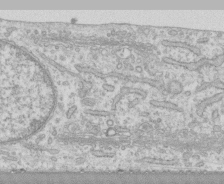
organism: Human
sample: CRL-1474